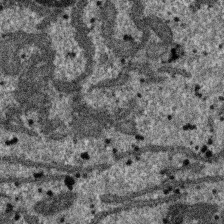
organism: Human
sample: Lung epithelial cells infected with SARS-CoV-2